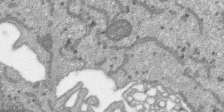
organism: Human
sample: Lung epithelial cells infected with SARS-CoV-2